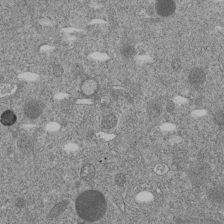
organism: C. elegans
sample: C. elegans embryo early stage